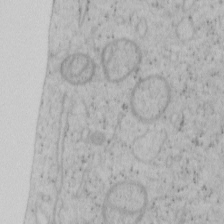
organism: Human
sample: HeLa cells